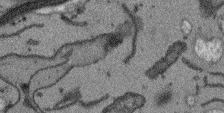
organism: Arabidopsis thaliana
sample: Root tip